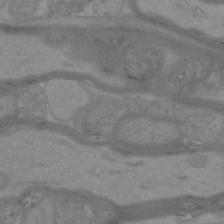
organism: Mouse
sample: Cortical neurons